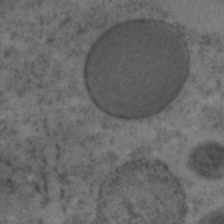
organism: C. elegans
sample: C. elegans embryo